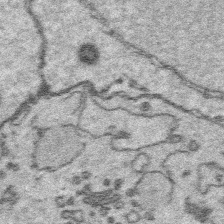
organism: Platynereis dumerilii